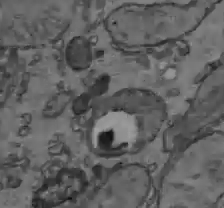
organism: C57BL Mouse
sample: Liver